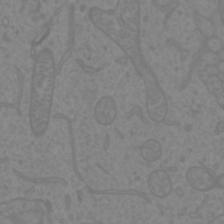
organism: Mouse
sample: Cortical neurons